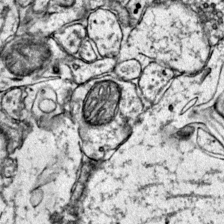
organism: Mouse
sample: Primary visual cortex